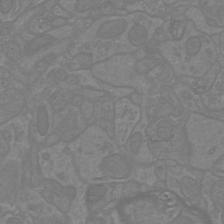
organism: Mouse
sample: Cortical neurons